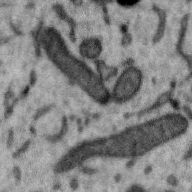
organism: Zebra finch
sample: Brain